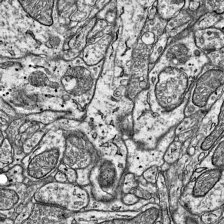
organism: Mouse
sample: Visual Cortex